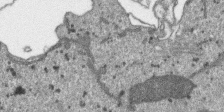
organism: Human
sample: Lung epithelial cells infected with SARS-CoV-2